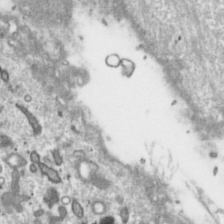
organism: Toxoplasma gondii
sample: Parasites in a vacuole inside a host cell